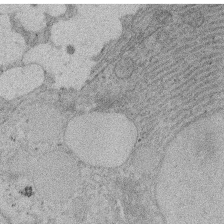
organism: Rat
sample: Salivary granule